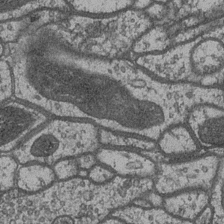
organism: Drosophila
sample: Optic medulla